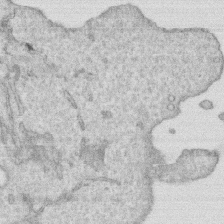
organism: Human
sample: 1205lu cells